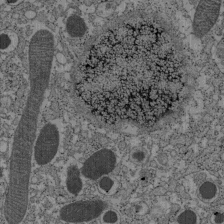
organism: C57BL Mouse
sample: Pancreatic islet